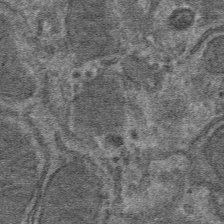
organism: Mouse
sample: Mouse hepatocytes